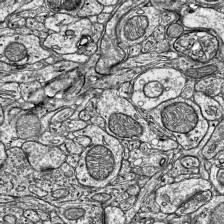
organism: Mouse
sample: Visual Cortex